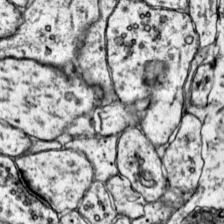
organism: Mouse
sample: Primary visual cortex